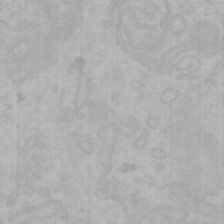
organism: Mouse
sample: Choroid plexus